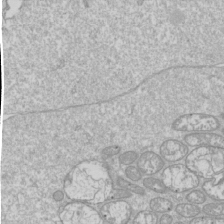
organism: Drosophila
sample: Cell division; meiosis; drosophila spermatocytes